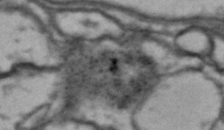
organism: Drosophila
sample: Brain